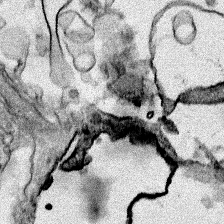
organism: Human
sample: Mitochondria in HCT116 cells